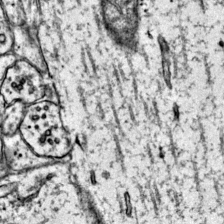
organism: Mouse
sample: Primary visual cortex